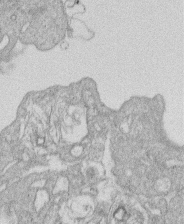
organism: Human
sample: Macrophage cells